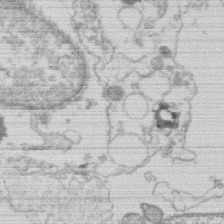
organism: Human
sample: Macrophage cells